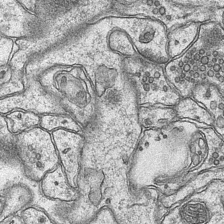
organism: Mouse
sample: CA1 Hippocampus